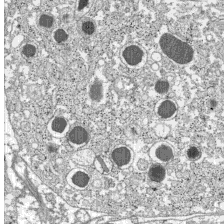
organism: C57BL Mouse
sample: Pancreatic islet